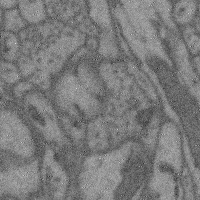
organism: Mouse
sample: Cerebral cortex